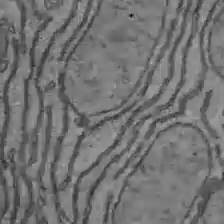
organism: C57BL Mouse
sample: Liver